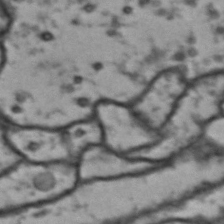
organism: Drosophila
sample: Brain